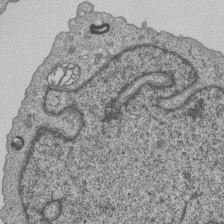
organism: Human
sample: MDA-MB-231 cells